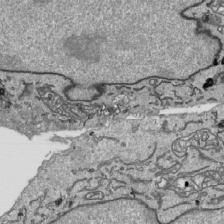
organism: Human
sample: Mitochondria in HCT116 cells